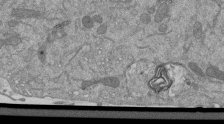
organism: Mouse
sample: ED-1 cell nuclei; centrioles